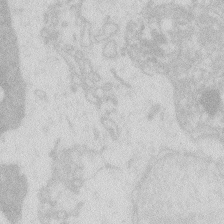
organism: Zebrafish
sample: Macrophage